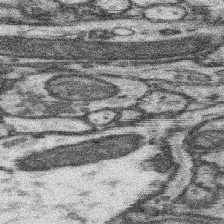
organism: Mouse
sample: Somatosensory cortex neuropil